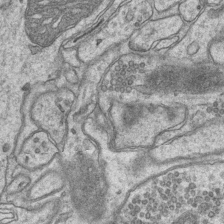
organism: Mouse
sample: CA1 Hippocampus